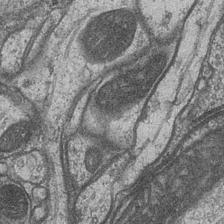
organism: Drosophila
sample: Optic medulla